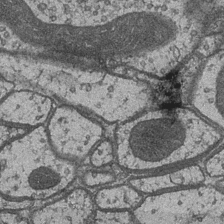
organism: Drosophila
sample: Optic medulla